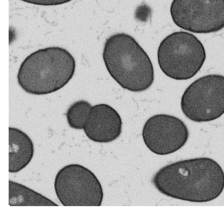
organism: B. subtilis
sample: Bacterial spore